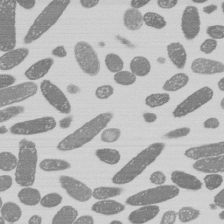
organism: E. coli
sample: Bacterial nucleoid